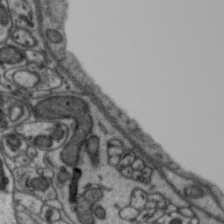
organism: Zebra finch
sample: Brain